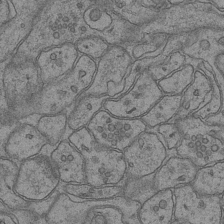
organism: Mouse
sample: CA1 Hippocampus